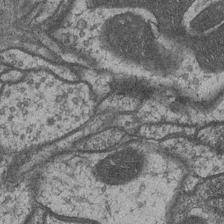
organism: Drosophila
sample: Optic medulla